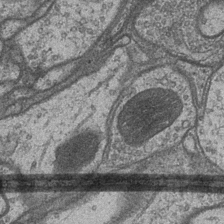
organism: Drosophila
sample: Optic medulla